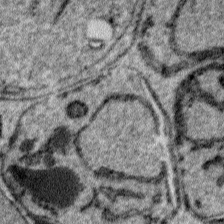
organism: Plasmodium falciparum